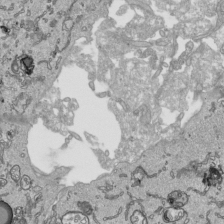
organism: Human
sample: Mitochondria in HCT116 cells